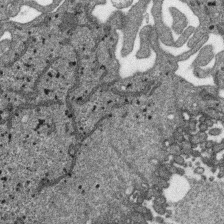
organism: Human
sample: Lung epithelial cells infected with SARS-CoV-2